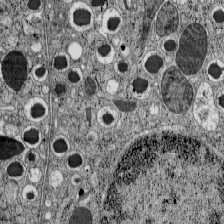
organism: C57BL Mouse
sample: Pancreatic islet